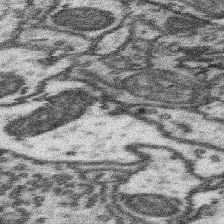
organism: Mouse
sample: Somatosensory cortex neuropil